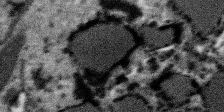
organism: Human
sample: Lung epithelial cells infected with SARS-CoV-2